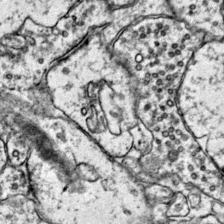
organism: Mouse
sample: Primary visual cortex